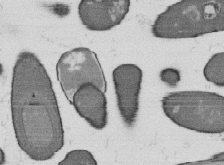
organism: B. subtilis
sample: Bacterial spore